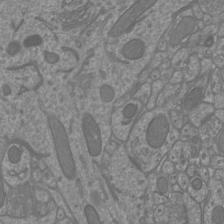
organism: Mouse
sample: Cortical neurons